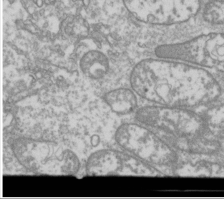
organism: Drosophila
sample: Cell division; meiosis; drosophila spermatocytes